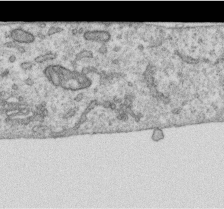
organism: Human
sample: Centriole in RPE cells